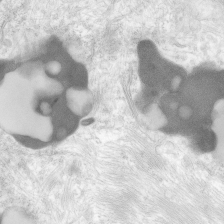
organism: Human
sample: Neocortex